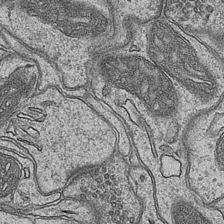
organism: Mouse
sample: CA1 Hippocampus